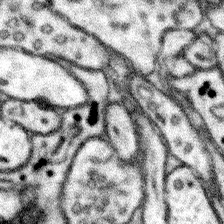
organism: Mouse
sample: Somatosensory cortex neuropil